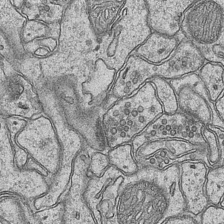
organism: Mouse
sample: CA1 Hippocampus